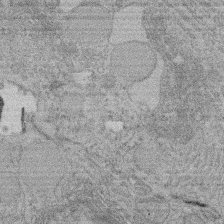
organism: Rat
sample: Salivary granule